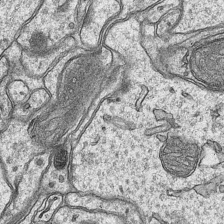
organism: Mouse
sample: CA1 Hippocampus